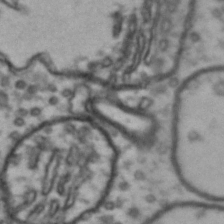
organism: Drosophila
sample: Brain